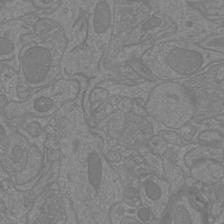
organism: Mouse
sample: Cortical neurons